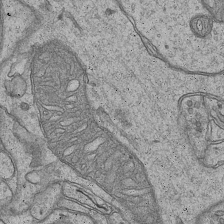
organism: Mouse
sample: CA1 Hippocampus